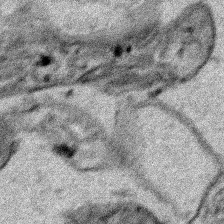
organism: Human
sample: Mitochondria in HCT116 cells